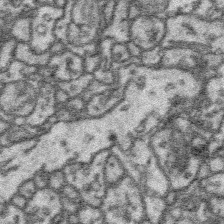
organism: Platynereis dumerilii